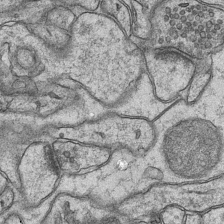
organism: Mouse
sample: CA1 Hippocampus